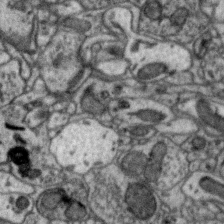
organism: Zebra finch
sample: Brain